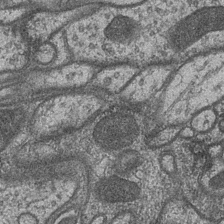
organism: Drosophila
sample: Optic medulla